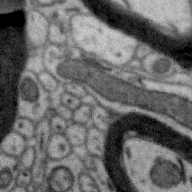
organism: Zebra finch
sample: Brain